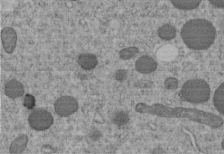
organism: C. elegans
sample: C. elegans embryo early stage